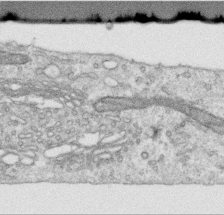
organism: Human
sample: Centriole in RPE cells